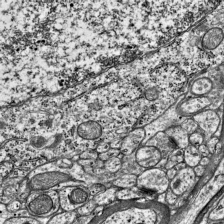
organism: Mouse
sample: Visual Cortex